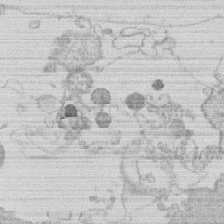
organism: Human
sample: Macrophage cells